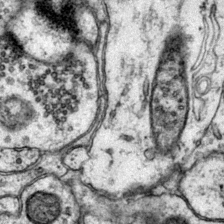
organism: Mouse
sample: Primary visual cortex